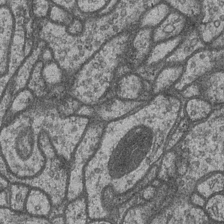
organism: Drosophila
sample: Optic medulla